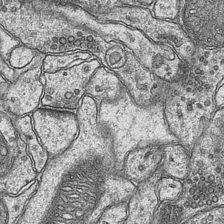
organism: Mouse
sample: CA1 Hippocampus